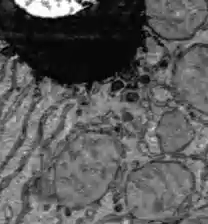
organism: C57BL Mouse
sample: Liver